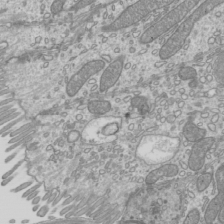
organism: Mouse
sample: Cilia; mouse epididymis